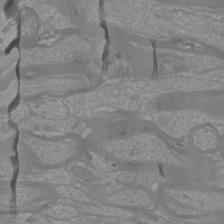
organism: Mouse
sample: Cortical neurons